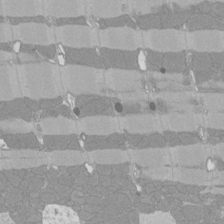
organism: Rat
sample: Left ventricle